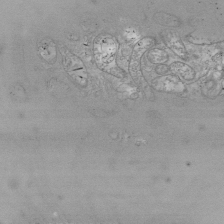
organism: Drosophila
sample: Cell division; meiosis; drosophila spermatocytes